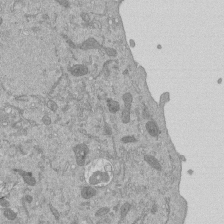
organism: Mouse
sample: ED-1 cell nuclei; centrioles